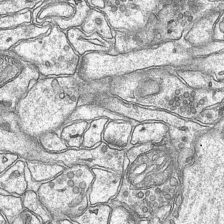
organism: Mouse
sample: CA1 Hippocampus